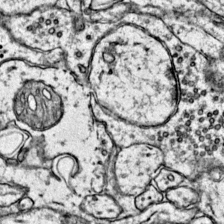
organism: Mouse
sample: Primary visual cortex